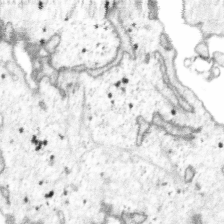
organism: Human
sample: HeLa cells